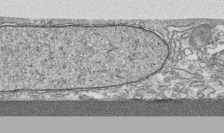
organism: Human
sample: CRL-1474